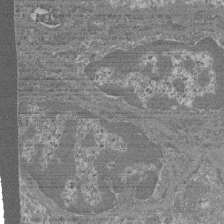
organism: Mouse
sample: Glomerulus